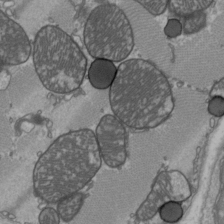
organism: C57BL Mouse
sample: Heart